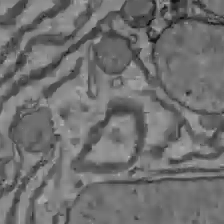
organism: C57BL Mouse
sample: Liver